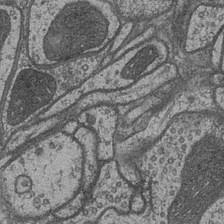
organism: Drosophila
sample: Optic medulla